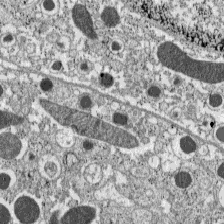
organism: C57BL Mouse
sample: Pancreatic islet